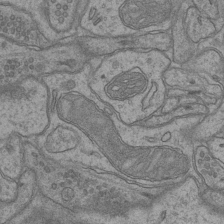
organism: Mouse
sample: CA1 Hippocampus